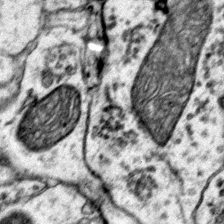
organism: Mouse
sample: Primary visual cortex